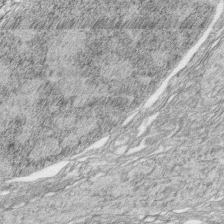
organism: Zebrafish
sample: synaptic ribbons in rod cells and cone cells